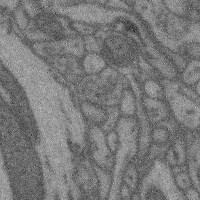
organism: Mouse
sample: Cerebral cortex